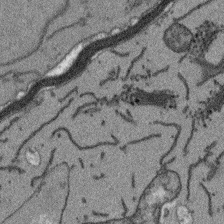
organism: Arabidopsis thaliana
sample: Root tip